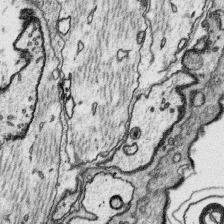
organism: Platynereis dumerilii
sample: Parapodia